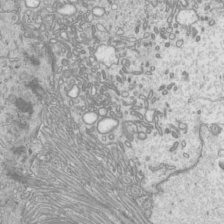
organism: Mouse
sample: Cilia; mouse epididymis